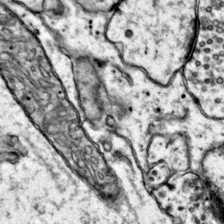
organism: Mouse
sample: Primary visual cortex